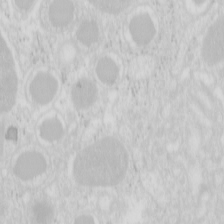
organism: Mouse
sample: Pancreas